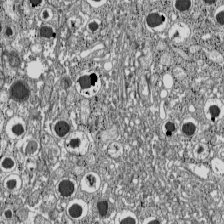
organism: C57BL Mouse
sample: Pancreatic islet